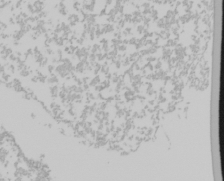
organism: Mouse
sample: Cancer cell death in ED-1 cells